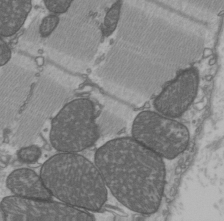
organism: C57BL Mouse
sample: Heart